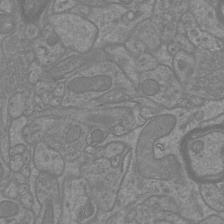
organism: Mouse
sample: Cortical neurons